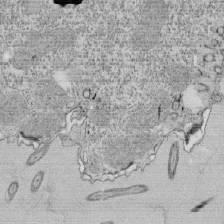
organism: Tetrahymena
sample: Cilia in tetrahymena